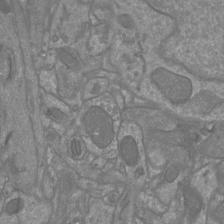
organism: Mouse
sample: Cortical neurons